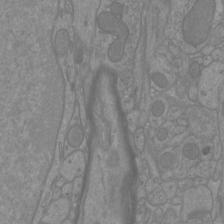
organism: Mouse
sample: Cortical neurons